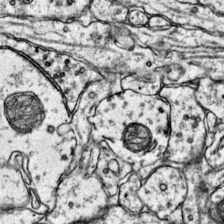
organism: Mouse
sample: Primary visual cortex